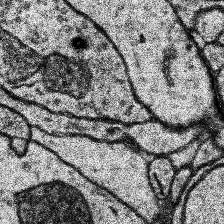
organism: Human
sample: Temporal Lobe